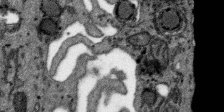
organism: Human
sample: Lung epithelial cells, uninfected (mock) control